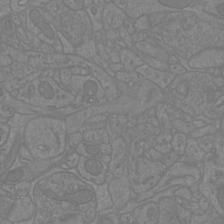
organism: Mouse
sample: Cortical neurons